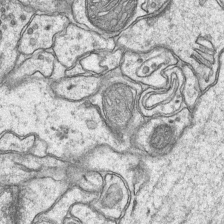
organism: Mouse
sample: CA1 Hippocampus